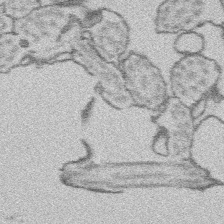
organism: Platynereis dumerilii